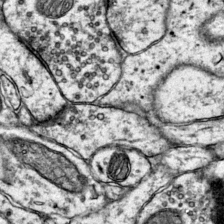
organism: Mouse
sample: Primary visual cortex